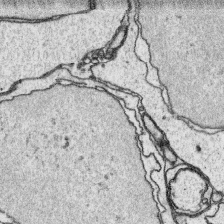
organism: Platynereis dumerilii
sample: Parapodia